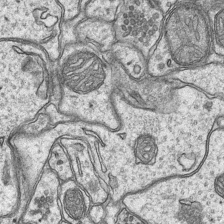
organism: Mouse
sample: CA1 Hippocampus